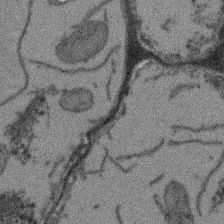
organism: Arabidopsis thaliana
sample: Root tip